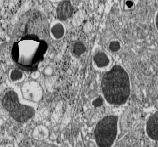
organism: C57BL Mouse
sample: Pancreatic islet